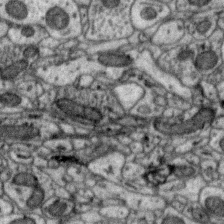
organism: Zebra finch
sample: Brain